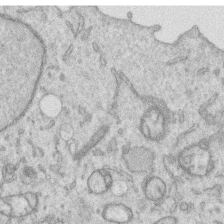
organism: Human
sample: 1205lu cells